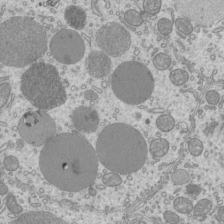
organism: Mouse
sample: Cilia; mouse epididymis